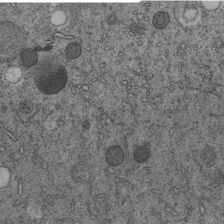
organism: C. elegans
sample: C. elegans embryo early stage